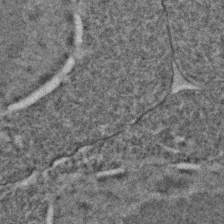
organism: C. elegans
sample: C. elegans embryo